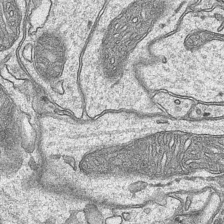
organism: Mouse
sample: CA1 Hippocampus